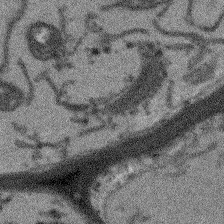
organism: Arabidopsis thaliana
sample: Root tip